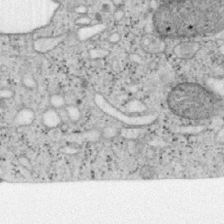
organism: Mouse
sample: OT-I killer T cells with ID8 ovarian cancer cells